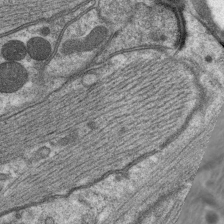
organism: C. elegans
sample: Pharynx